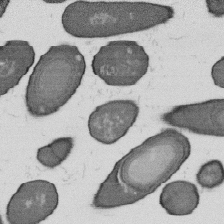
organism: B. subtilis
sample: Bacterial spore